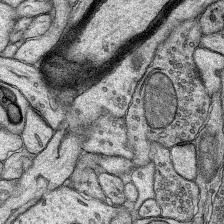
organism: Rat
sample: Hippocampus